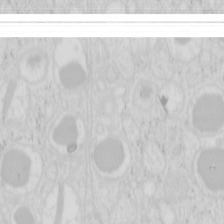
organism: Mouse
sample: Pancreas